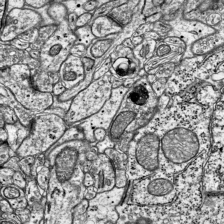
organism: Mouse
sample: Visual Cortex